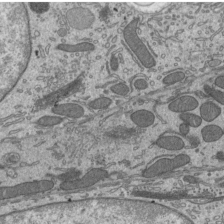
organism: Mouse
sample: Mouse epididymis efferent ductule cilia